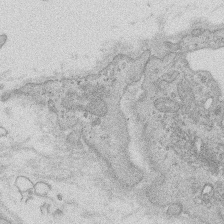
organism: Rat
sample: Salivary granule